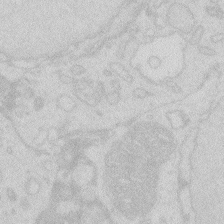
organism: Zebrafish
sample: Macrophage